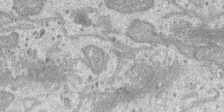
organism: Human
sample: Lung epithelial cells infected with SARS-CoV-2